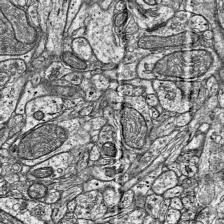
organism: Mouse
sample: Visual Cortex